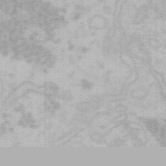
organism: Mouse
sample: Choroid plexus